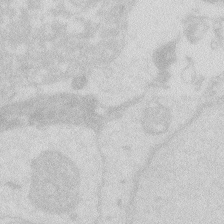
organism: Zebrafish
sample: Macrophage